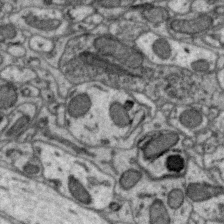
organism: Zebra finch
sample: Brain